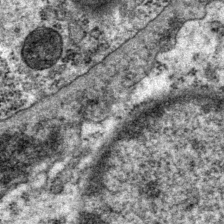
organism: P. pacificus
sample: Pharynx